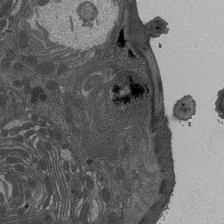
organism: Drosophila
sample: Antenna